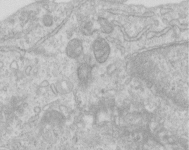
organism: Human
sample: Centriole in RPE cells